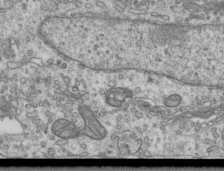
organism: Human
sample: Centriole in RPE cells